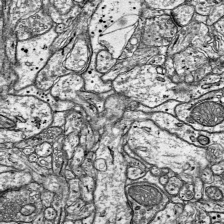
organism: Mouse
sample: Visual Cortex